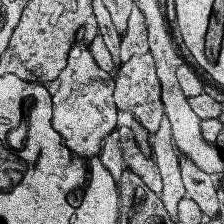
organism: Human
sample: Temporal Lobe